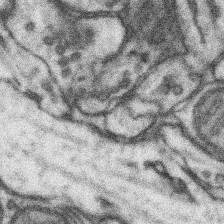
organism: Mouse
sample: Somatosensory cortex neuropil